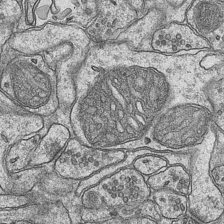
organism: Mouse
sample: CA1 Hippocampus